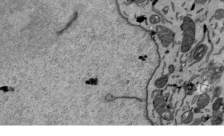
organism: Mouse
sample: ED-1 cell nuclei; centrioles